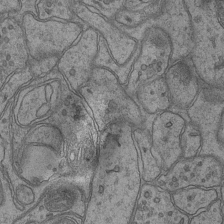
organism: Mouse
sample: CA1 Hippocampus